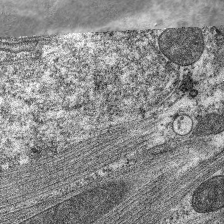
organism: C. elegans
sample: Pharynx